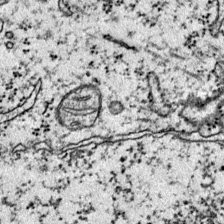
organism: Mouse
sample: Primary visual cortex